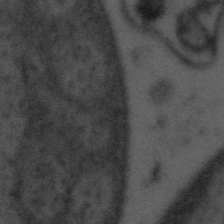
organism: Tuwongella immobilis